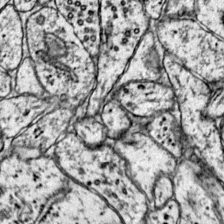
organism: Mouse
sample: Primary visual cortex